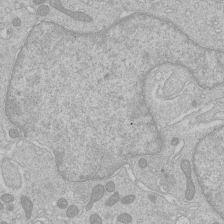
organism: Human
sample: Macrophage cells